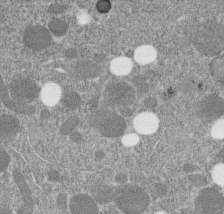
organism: C. elegans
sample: C. elegans embryo early stage